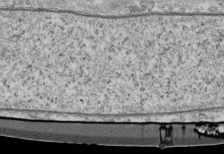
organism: Mouse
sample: Cilia; retinal pigment epithelium